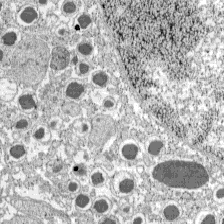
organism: C57BL Mouse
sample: Pancreatic islet